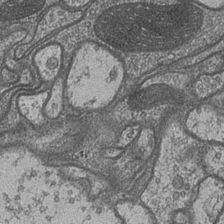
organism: Drosophila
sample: Optic medulla